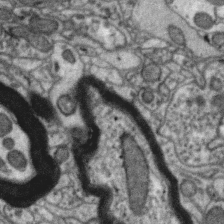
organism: Zebra finch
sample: Brain